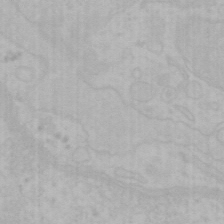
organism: Mouse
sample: Choroid plexus